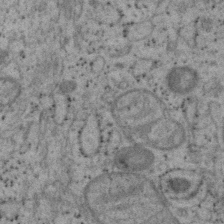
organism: Human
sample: HeLa cells